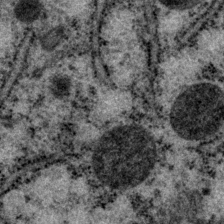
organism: P. pacificus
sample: Pharynx